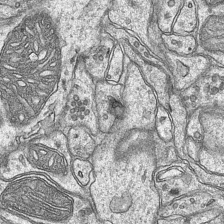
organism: Mouse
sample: CA1 Hippocampus